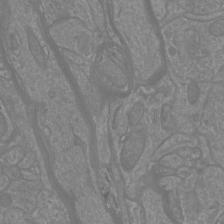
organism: Mouse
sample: Cortical neurons